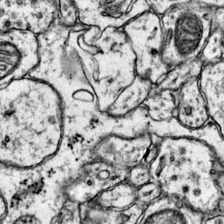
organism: Mouse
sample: Primary visual cortex